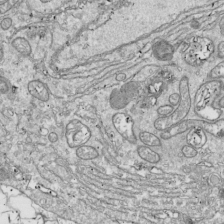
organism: Drosophila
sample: Cell division; meiosis; drosophila spermatocytes